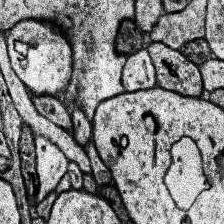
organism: Human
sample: Temporal Lobe